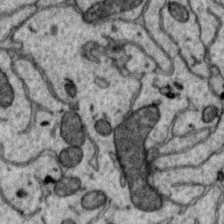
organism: Zebra finch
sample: Brain